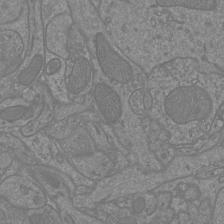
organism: Mouse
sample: Cortical neurons